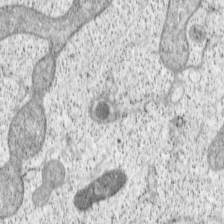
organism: African green monkey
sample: COS-7 cells